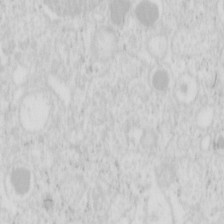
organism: Mouse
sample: Pancreas